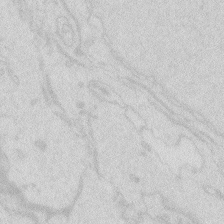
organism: Zebrafish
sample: Macrophage